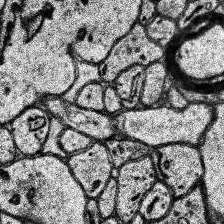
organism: Human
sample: Temporal Lobe